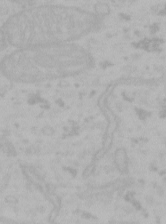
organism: Mouse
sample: Choroid plexus